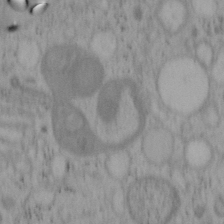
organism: Mouse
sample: OT-I killer T cells with ID8 ovarian cancer cells